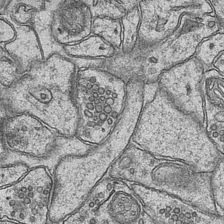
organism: Mouse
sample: CA1 Hippocampus